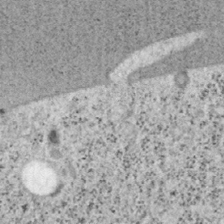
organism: Mouse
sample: OT-I killer T cells with ID8 ovarian cancer cells